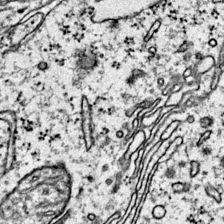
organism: Mouse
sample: Primary visual cortex